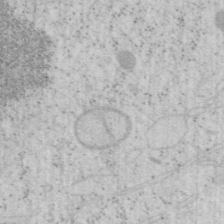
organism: Human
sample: HeLa cells